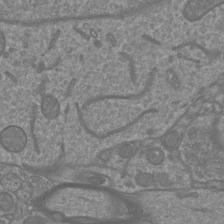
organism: Mouse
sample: Cortical neurons